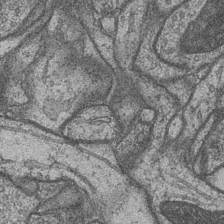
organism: Drosophila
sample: Optic medulla